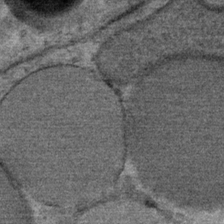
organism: Mouse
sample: Mouse Salivary gland